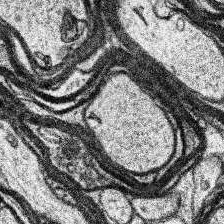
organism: Human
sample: Temporal Lobe